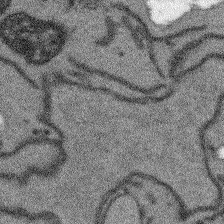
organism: Arabidopsis thaliana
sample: Root tip